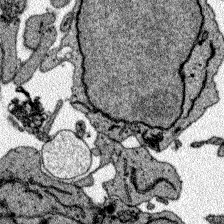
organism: Zebrafish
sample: Larval olfactory bulb